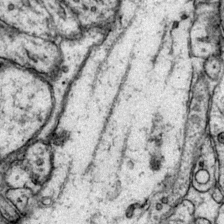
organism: Mouse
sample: Primary visual cortex